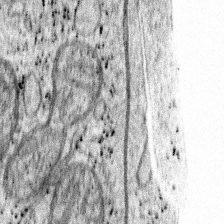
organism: Human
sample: HeLa cells